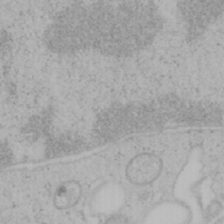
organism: Mouse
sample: OT-I killer T cells with ID8 ovarian cancer cells